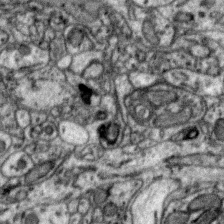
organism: Zebra finch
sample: Brain